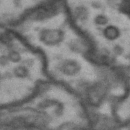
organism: Drosophila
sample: Brain